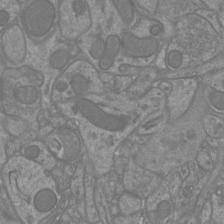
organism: Mouse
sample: Cortical neurons